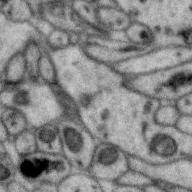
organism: Zebra finch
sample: Brain